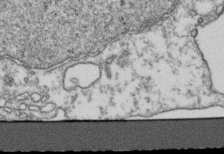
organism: Human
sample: Activated Jurkat CD4+ T cells